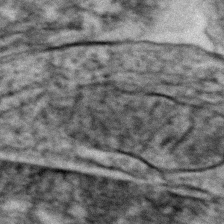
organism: Zebrafish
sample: Zebrafish embryo